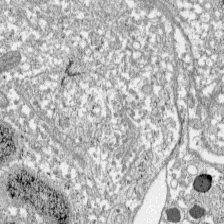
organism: C57BL Mouse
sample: Pancreatic islet